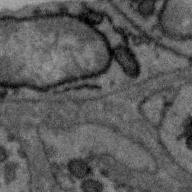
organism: Zebra finch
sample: Brain